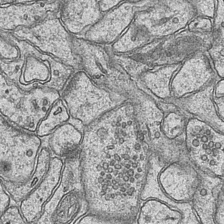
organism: Mouse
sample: CA1 Hippocampus